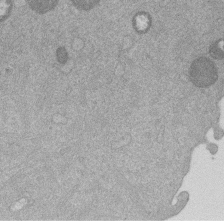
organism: Mouse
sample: Dividing mouse embryo 1 cell stage